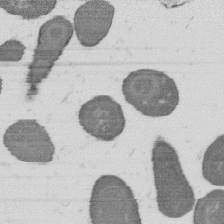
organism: B. subtilis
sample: Bacterial spore